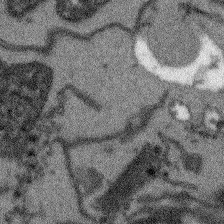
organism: Arabidopsis thaliana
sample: Root tip